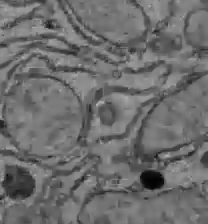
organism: C57BL Mouse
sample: Liver